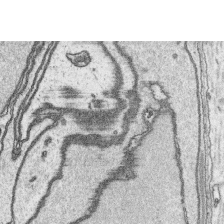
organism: Platynereis dumerilii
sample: Parapodia